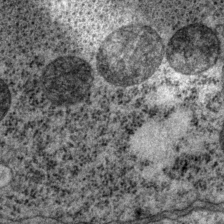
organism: P. pacificus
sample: Pharynx